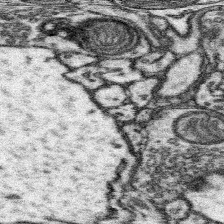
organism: Mouse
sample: Somatosensory cortex neuropil